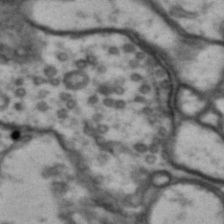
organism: Drosophila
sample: Brain